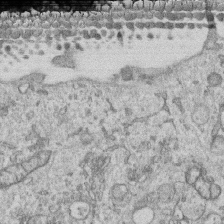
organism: Human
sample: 1205lu cells